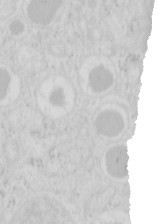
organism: Mouse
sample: Pancreas